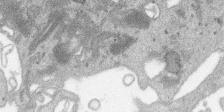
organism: Human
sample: Lung epithelial cells infected with SARS-CoV-2